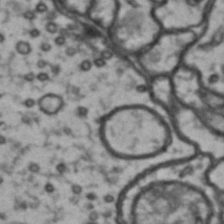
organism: Drosophila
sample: Brain